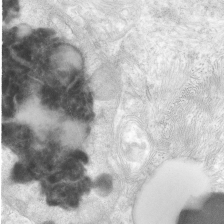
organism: Human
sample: Neocortex